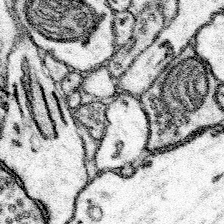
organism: Mouse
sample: Somatosensory cortex neuropil